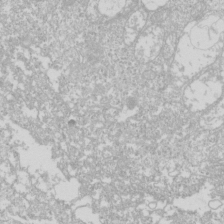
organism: Drosophila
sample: Cell division; meiosis; drosophila spermatocytes